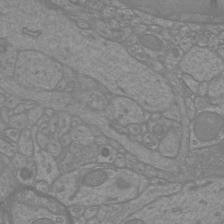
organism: Mouse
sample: Cortical neurons